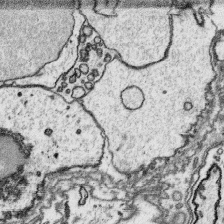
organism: Platynereis dumerilii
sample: Parapodia